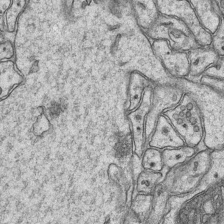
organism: Mouse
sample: CA1 Hippocampus